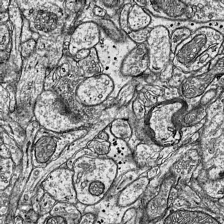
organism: Mouse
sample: Visual Cortex